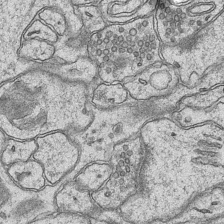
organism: Mouse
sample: CA1 Hippocampus